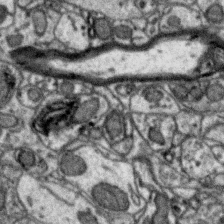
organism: Zebra finch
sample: Brain